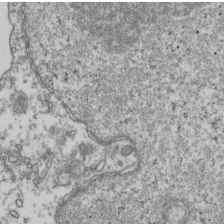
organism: Human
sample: Activated Jurkat CD4+ T cells